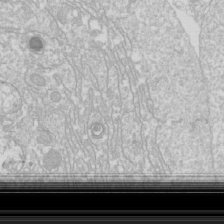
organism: Drosophila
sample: Cell division; meiosis; drosophila spermatocytes